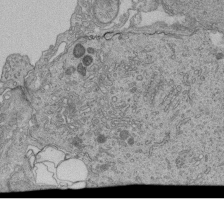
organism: Human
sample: Retinal organoid Rod and Cone cells